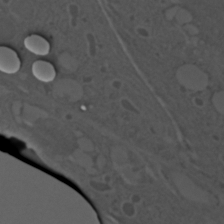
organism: C. elegans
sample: C. elegans embryo